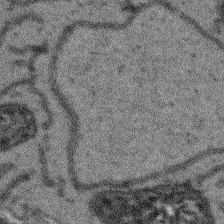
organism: Arabidopsis thaliana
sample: Root tip